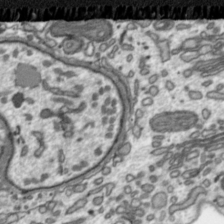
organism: Toxoplasma gondii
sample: Parasites in a vacuole inside a host cell